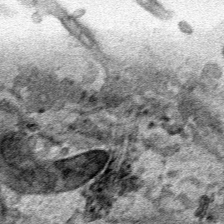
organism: Human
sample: Mitochondria in HCT116 cells